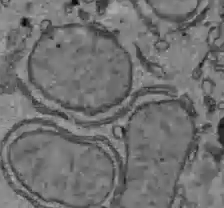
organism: C57BL Mouse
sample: Liver